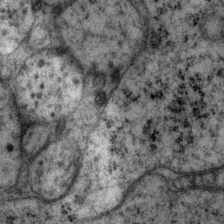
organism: P. pacificus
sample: Pharynx